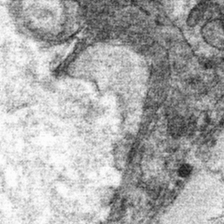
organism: Mouse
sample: Mouse hepatocytes